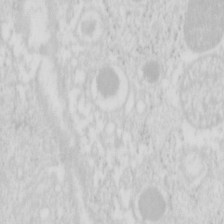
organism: Mouse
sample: Pancreas